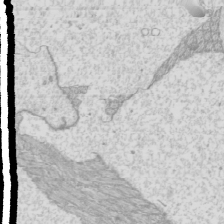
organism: Mouse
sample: Cilia; mouse epididymis